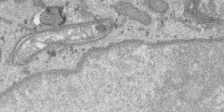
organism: Human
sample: Lung epithelial cells infected with SARS-CoV-2